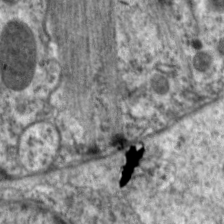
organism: C. elegans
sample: Pharynx